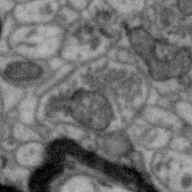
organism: Zebra finch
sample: Brain